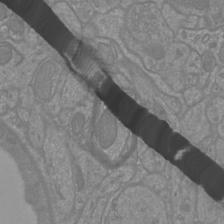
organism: Mouse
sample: Cortical neurons